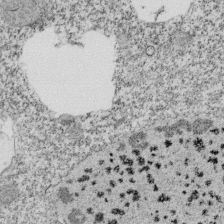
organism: Tetrahymena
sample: Cilia in tetrahymena